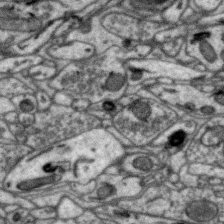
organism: Zebra finch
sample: Brain